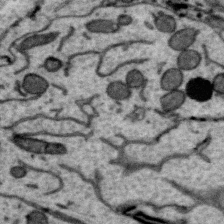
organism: Zebra finch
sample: Brain